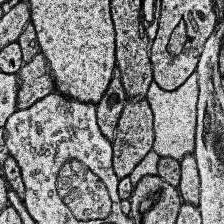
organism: Human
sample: Temporal Lobe